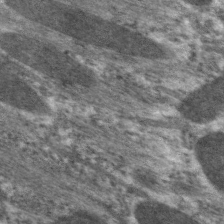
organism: C. elegans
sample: Pharynx